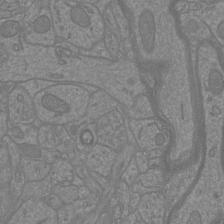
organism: Mouse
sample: Cortical neurons